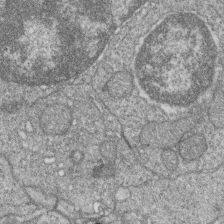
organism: Zebrafish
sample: Cilia; retinal pigment epithelium